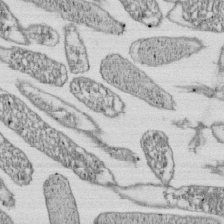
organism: E. coli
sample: Bacterial nucleoid